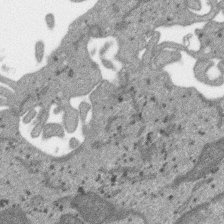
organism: Human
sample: Lung epithelial cells infected with SARS-CoV-2